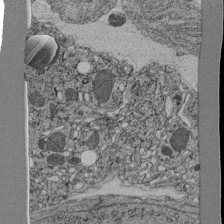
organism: C. elegans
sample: C. elegans pharynx